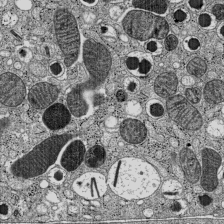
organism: C57BL Mouse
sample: Pancreatic islet